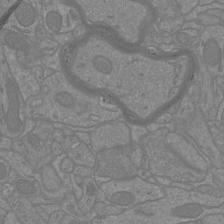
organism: Mouse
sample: Cortical neurons